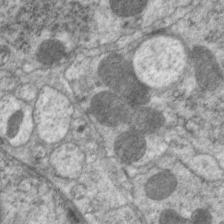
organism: C. elegans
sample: Pharynx